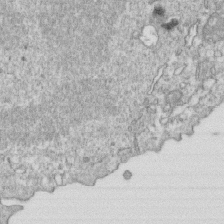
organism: Mouse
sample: Activated OT-1 CD8+ T cells